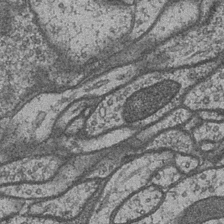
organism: Drosophila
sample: Optic medulla